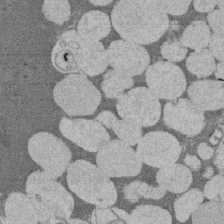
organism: Rat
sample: Salivary granule